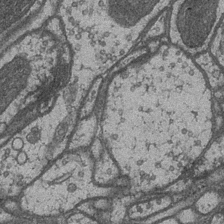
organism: Drosophila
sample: Optic medulla